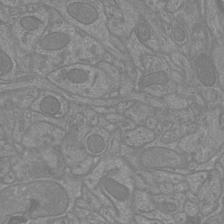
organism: Mouse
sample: Cortical neurons